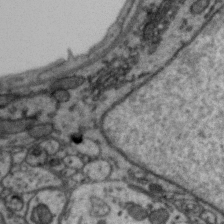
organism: Zebra finch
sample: Brain